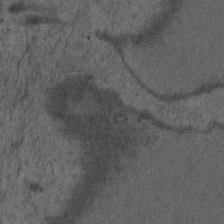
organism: Human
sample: HeLa cells